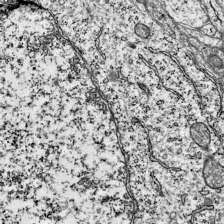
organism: Mouse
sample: Visual Cortex